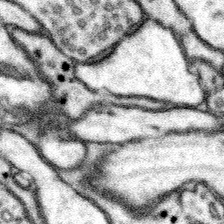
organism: Mouse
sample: Somatosensory cortex neuropil